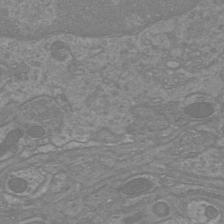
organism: Mouse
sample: Cortical neurons